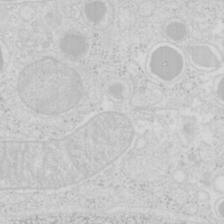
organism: Mouse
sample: Pancreas